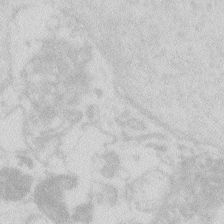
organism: Zebrafish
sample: Macrophage